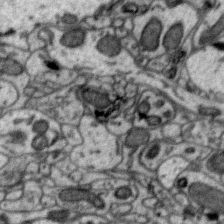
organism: Zebra finch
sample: Brain